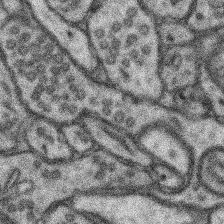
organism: Mouse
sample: Somatosensory cortex neuropil